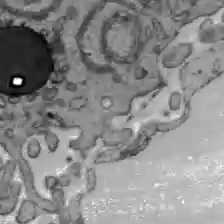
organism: C57BL Mouse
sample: Liver